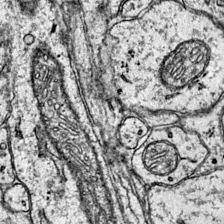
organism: Mouse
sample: Primary visual cortex